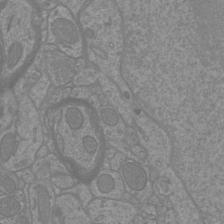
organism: Mouse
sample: Cortical neurons